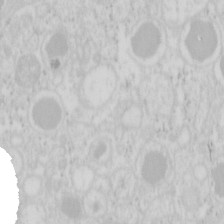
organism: Mouse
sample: Pancreas